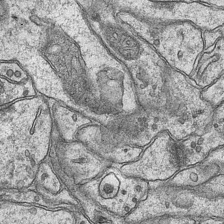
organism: Mouse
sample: CA1 Hippocampus